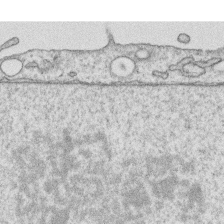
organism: Human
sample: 1205lu cells